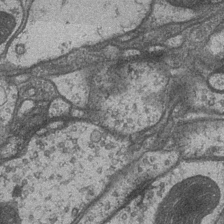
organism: Drosophila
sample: Optic medulla